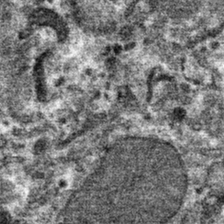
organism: Mouse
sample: Mouse hepatocytes